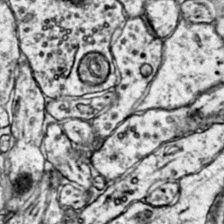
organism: Mouse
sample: Primary visual cortex